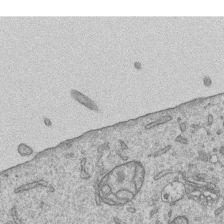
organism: Human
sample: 1205lu cells